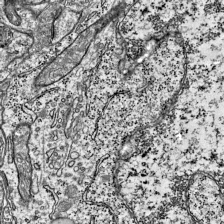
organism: Mouse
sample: Visual Cortex